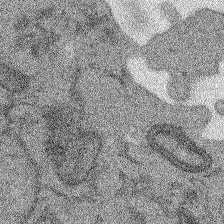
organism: Human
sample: HeLa cells